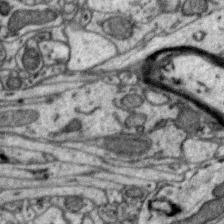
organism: Zebra finch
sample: Brain